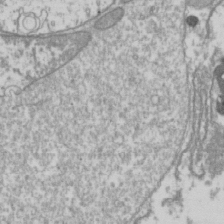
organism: Drosophila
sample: Cell division; meiosis; drosophila spermatocytes